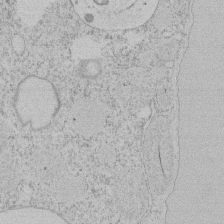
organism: Tetrahymena